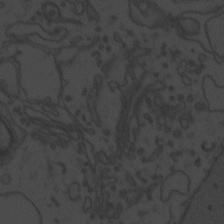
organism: Zebrafish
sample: Macrophage infected with Toxoplasma gondii